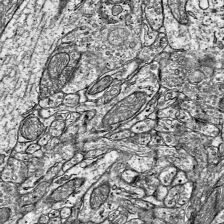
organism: Mouse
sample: Visual Cortex